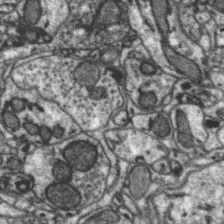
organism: Zebra finch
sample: Brain